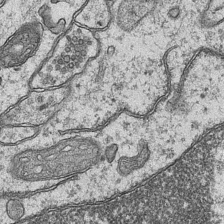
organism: Mouse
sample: CA1 Hippocampus